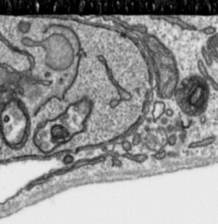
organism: Toxoplasma gondii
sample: Parasites in a vacuole inside a host cell